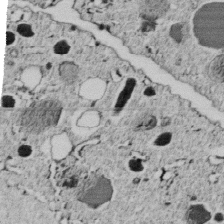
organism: C. elegans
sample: C. elegans embryo early stage